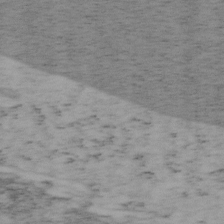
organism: Mouse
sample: OT-I killer T cells with ID8 ovarian cancer cells